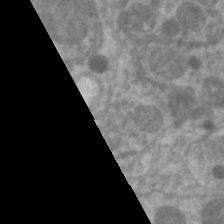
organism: C. elegans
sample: Pharynx